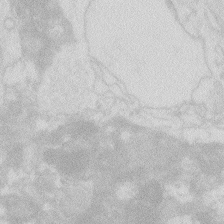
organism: Zebrafish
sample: Macrophage